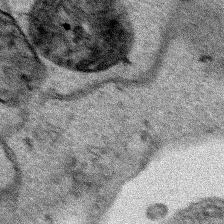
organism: Human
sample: Mitochondria in HCT116 cells